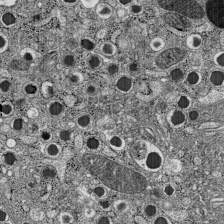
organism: C57BL Mouse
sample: Pancreatic islet